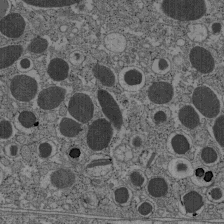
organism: C57BL Mouse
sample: Pancreatic islet